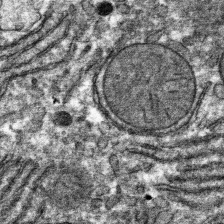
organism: Mouse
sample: Mouse hepatocytes